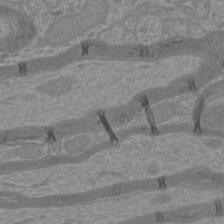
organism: Mouse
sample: Cortical neurons